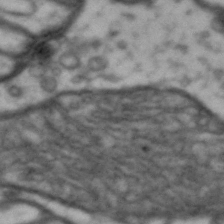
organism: Drosophila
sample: Brain